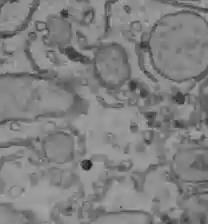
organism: C57BL Mouse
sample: Liver